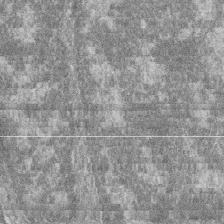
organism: Zebrafish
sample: Cilia; retinal pigment epithelium